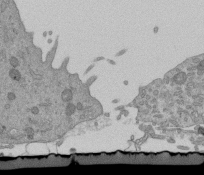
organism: Mouse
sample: ED-1 cell nuclei; centrioles